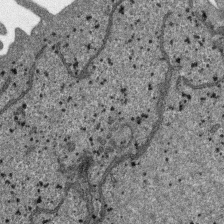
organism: Human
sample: Lung epithelial cells infected with SARS-CoV-2